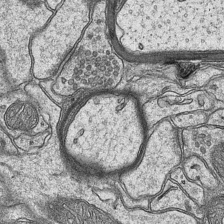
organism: Mouse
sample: CA1 Hippocampus